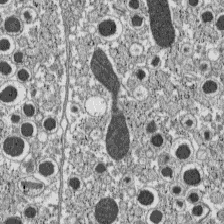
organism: C57BL Mouse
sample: Pancreatic islet